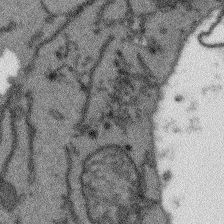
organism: Arabidopsis thaliana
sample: Root tip